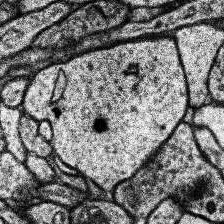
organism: Human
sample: Temporal Lobe